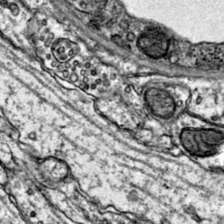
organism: Mouse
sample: Primary visual cortex